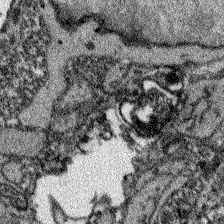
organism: Zebrafish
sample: Larval olfactory bulb